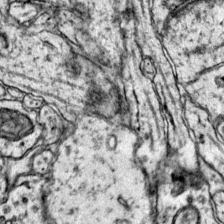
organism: Mouse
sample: Primary visual cortex